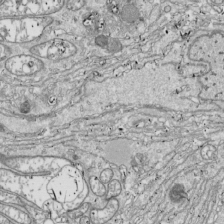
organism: Drosophila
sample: Cell division; meiosis; drosophila spermatocytes